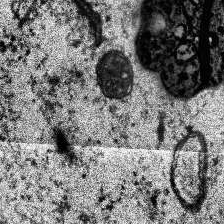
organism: Human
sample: Temporal Lobe